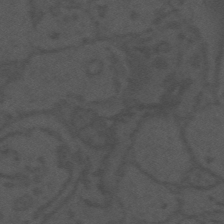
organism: Mouse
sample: Suprachiasmatic nucleus